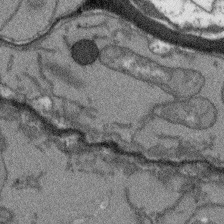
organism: Arabidopsis thaliana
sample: Root tip